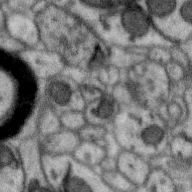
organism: Zebra finch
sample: Brain